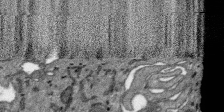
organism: Human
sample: Lung epithelial cells, uninfected (mock) control